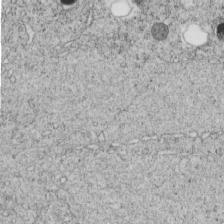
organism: C. elegans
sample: C. elegans embryo early stage